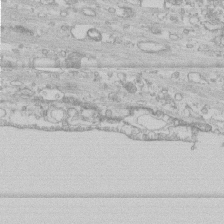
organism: Human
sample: CRL-1474